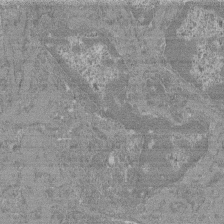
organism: Mouse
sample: Glomerulus